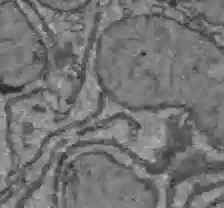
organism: C57BL Mouse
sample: Liver